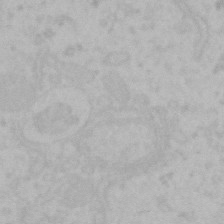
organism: Mouse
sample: Choroid plexus